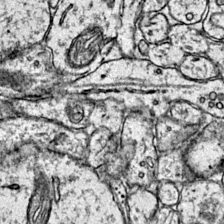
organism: Mouse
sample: Primary visual cortex